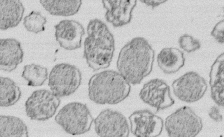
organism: E. coli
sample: Bacterial nucleoid